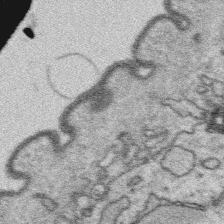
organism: Platynereis dumerilii